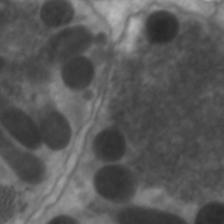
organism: C. elegans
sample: Pharynx